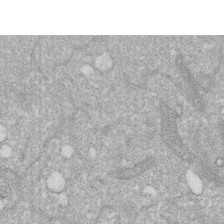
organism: Human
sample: HIV infected U937 cells